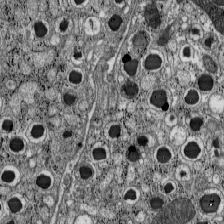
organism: C57BL Mouse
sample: Pancreatic islet